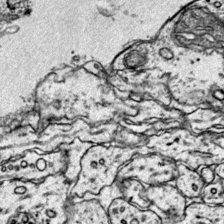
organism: Mouse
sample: Primary visual cortex